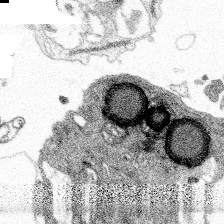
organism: Spongilla lacustris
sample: Multiple